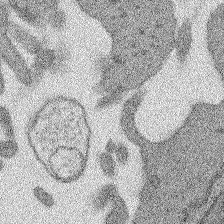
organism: Human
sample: HeLa cells